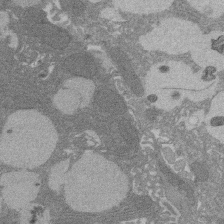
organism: Rat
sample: Salivary granule